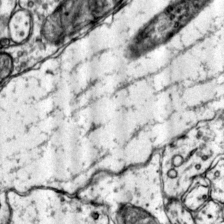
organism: Mouse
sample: Primary visual cortex